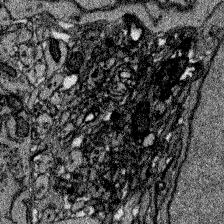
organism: Zebrafish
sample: Larval olfactory bulb